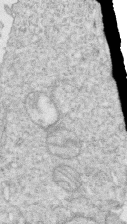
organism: Human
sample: HeLa cell HIV synapse